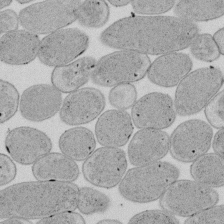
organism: E. coli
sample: Bacterial nucleoid